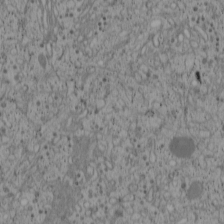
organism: African green monkey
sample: COS-7 cells